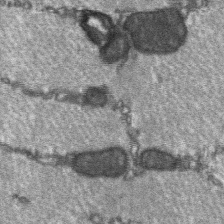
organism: C57BL Mouse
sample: Soleus